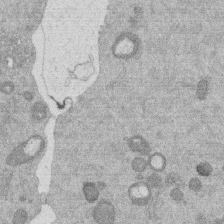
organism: Mouse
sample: Dividing mouse embryo 1 cell stage